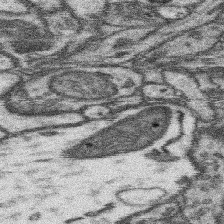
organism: Mouse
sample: Somatosensory cortex neuropil